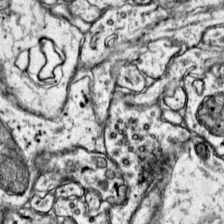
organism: Mouse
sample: Primary visual cortex